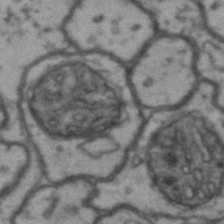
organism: Drosophila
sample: Brain